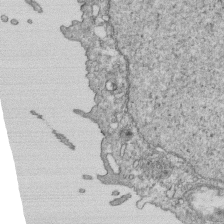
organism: Human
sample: HeLa cell HIV synapse